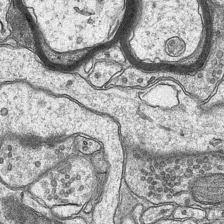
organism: Mouse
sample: CA1 Hippocampus